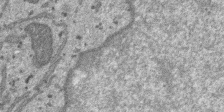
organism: Human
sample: Lung epithelial cells infected with SARS-CoV-2